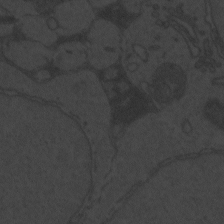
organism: Zebrafish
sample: Macrophage infected with Toxoplasma gondii